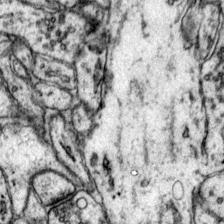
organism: Mouse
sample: Primary visual cortex